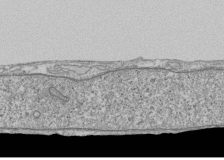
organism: Human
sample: Fibroblast cells